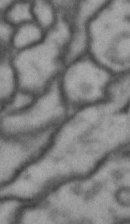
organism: Drosophila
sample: Brain